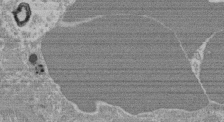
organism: Mouse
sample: Glomerulus